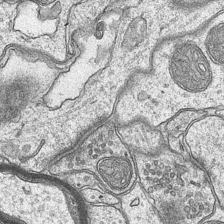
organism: Mouse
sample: CA1 Hippocampus